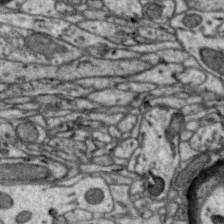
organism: Zebra finch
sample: Brain